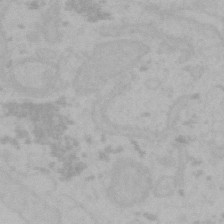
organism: Mouse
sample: Choroid plexus